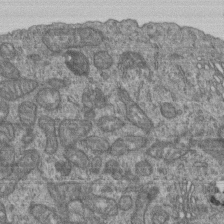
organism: Human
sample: Retinal organoid Rod and Cone cells